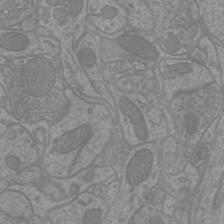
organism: Mouse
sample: Cortical neurons